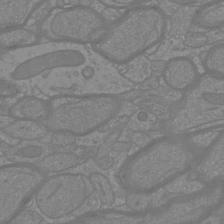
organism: Mouse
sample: Cortical neurons